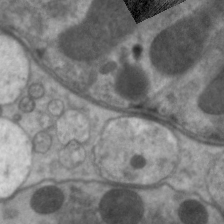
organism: C. elegans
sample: Pharynx